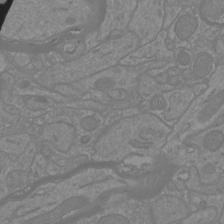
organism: Mouse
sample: Cortical neurons